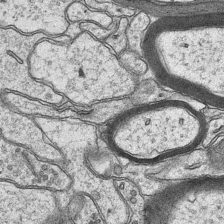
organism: Mouse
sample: CA1 Hippocampus